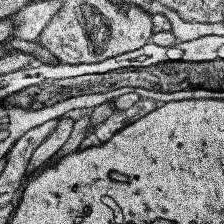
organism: Human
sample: Temporal Lobe